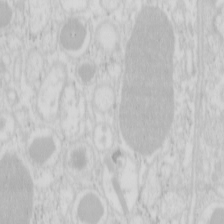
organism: Mouse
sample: Pancreas